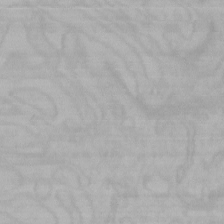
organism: Mouse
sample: Choroid plexus